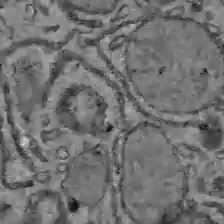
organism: C57BL Mouse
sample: Liver